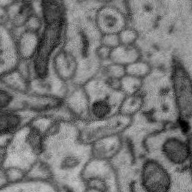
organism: Zebra finch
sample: Brain